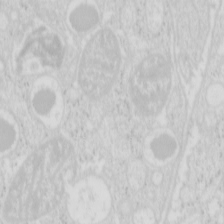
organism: Mouse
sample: Pancreas